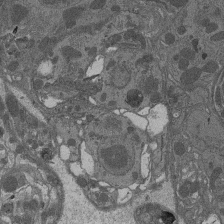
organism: Drosophila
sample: Antenna